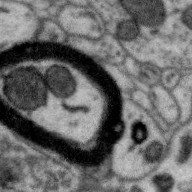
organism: Zebra finch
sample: Brain